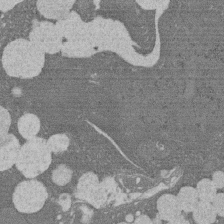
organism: Rat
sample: Salivary granule